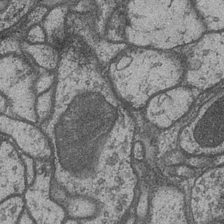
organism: Drosophila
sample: Optic medulla